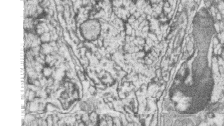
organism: Zebrafish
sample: synaptic ribbons in rod cells and cone cells